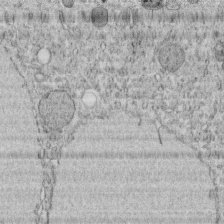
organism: C. elegans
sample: C. elegans embryo early stage